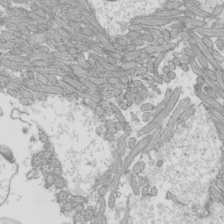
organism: Mouse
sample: Cilia; mouse epididymis